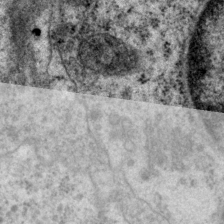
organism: P. pacificus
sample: Pharynx